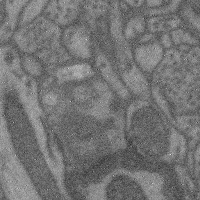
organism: Mouse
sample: Cerebral cortex